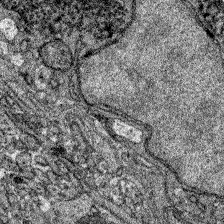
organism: Zebrafish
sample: Larval olfactory bulb